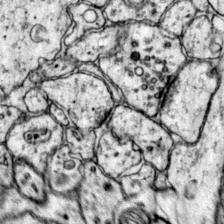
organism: Mouse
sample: Primary visual cortex